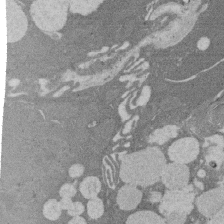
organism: Rat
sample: Salivary granule